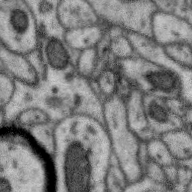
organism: Zebra finch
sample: Brain